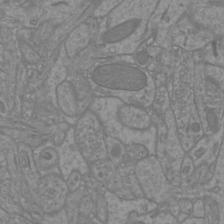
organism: Mouse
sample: Cortical neurons